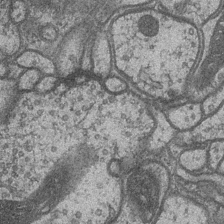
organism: Drosophila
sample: Optic medulla